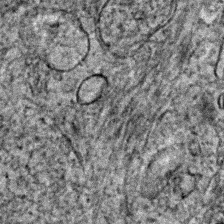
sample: Trachea